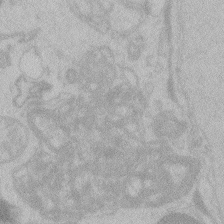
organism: Zebrafish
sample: Macrophage infected with Toxoplasma gondii